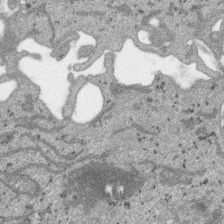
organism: Human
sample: Lung epithelial cells infected with SARS-CoV-2